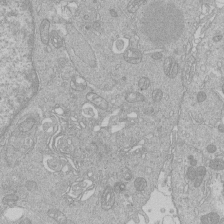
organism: Human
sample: Macrophage cells